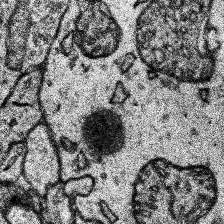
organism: Human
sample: Temporal Lobe